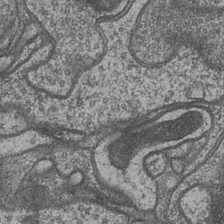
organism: Drosophila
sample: Optic medulla